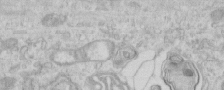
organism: Human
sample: Centriole in RPE cells